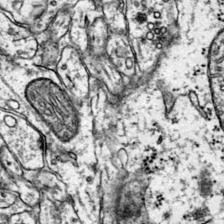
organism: Mouse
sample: Primary visual cortex